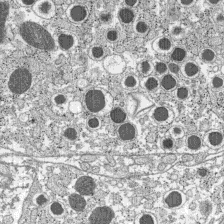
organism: C57BL Mouse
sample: Pancreatic islet